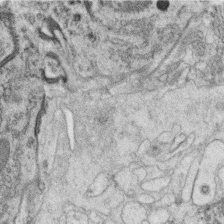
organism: C. elegans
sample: C. elegans oocyte; sperm cells